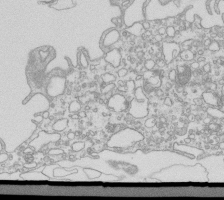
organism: Mouse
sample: Macrophages